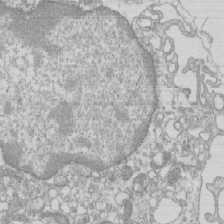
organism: Mouse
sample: Macrophages